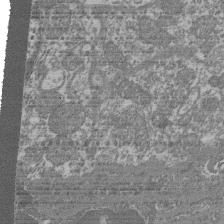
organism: Mouse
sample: Glomerulus